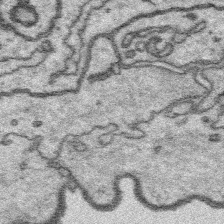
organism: Platynereis dumerilii